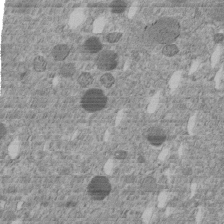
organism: C. elegans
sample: C. elegans embryo early stage